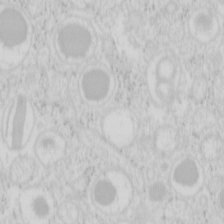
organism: Mouse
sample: Pancreas